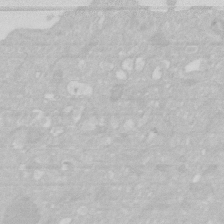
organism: Human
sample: HIV infected U937 cells